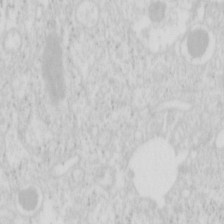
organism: Mouse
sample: Pancreas